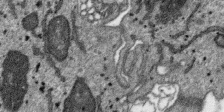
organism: Human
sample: Lung epithelial cells, uninfected (mock) control